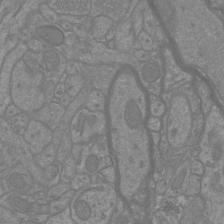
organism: Mouse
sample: Cortical neurons